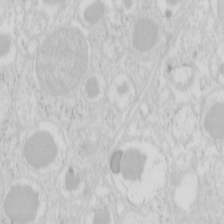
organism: Mouse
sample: Pancreas